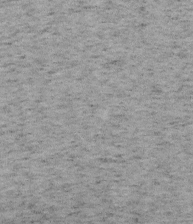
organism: Mouse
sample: OT-I killer T cells with ID8 ovarian cancer cells